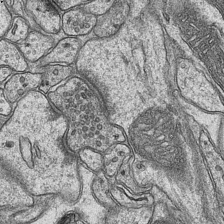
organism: Mouse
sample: CA1 Hippocampus